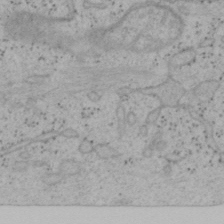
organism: Human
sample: HeLa cells